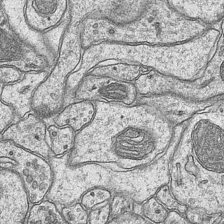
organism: Mouse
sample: CA1 Hippocampus